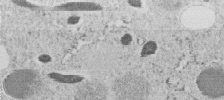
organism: C. elegans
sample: C. elegans embryo early stage